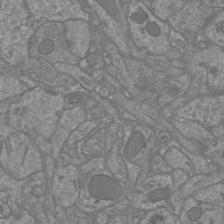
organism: Mouse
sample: Cortical neurons